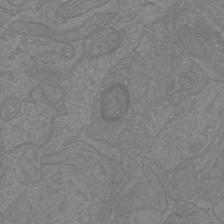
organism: Mouse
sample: Cortical neurons